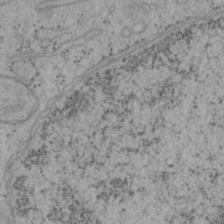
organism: Human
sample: HeLa cells